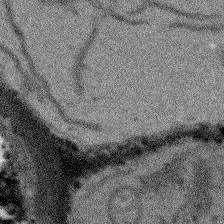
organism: Arabidopsis thaliana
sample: Root tip